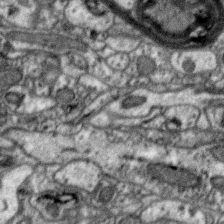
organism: Zebra finch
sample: Brain